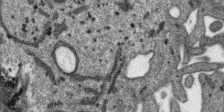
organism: Human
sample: Lung epithelial cells infected with SARS-CoV-2